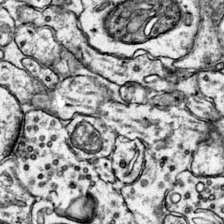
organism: Mouse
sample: Primary visual cortex